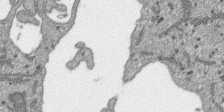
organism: Human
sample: Lung epithelial cells infected with SARS-CoV-2